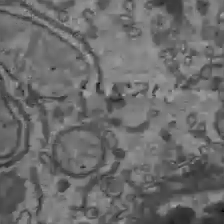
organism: C57BL Mouse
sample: Liver